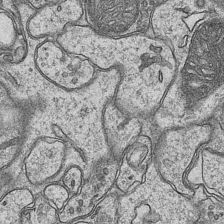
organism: Mouse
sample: CA1 Hippocampus